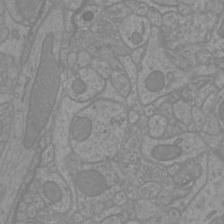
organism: Mouse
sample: Cortical neurons